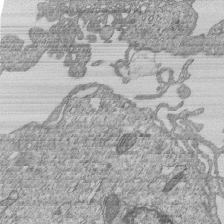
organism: Human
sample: MDA-MB-231 cells